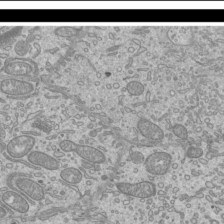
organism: Mouse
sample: Cilia; mouse epididymis